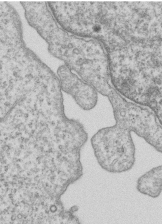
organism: Human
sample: MDA-MB-231 cells